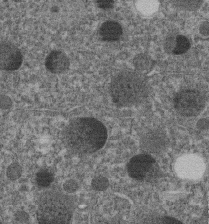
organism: C. elegans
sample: C. elegans embryo early stage